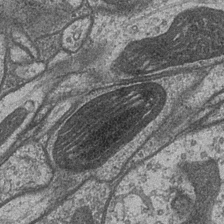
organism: Drosophila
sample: Optic medulla